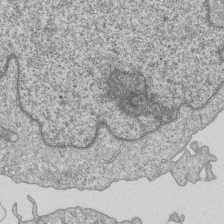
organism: Human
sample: MDA-MB-231 cells